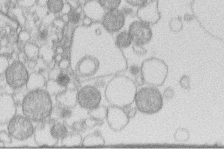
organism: Human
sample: Macrophage cells